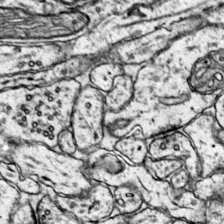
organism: Mouse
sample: Primary visual cortex